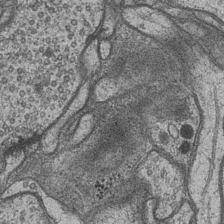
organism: Drosophila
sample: Optic medulla